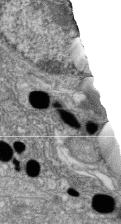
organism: Zebrafish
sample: Cilia; retinal pigment epithelium